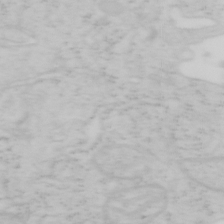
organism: Mouse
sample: OT-I killer T cells with ID8 ovarian cancer cells